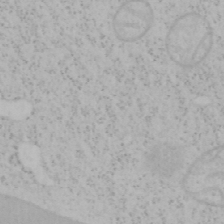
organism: Mouse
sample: OT-I killer T cells with ID8 ovarian cancer cells